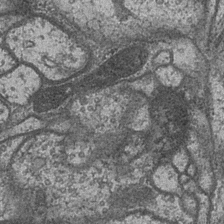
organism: Drosophila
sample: Optic medulla